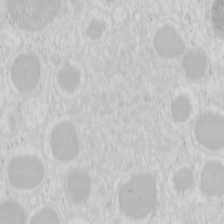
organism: Mouse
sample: Pancreas